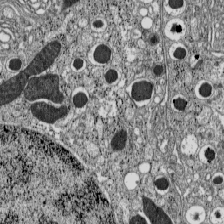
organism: C57BL Mouse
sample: Pancreatic islet